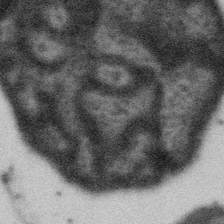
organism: Gemmata obscuriglobus